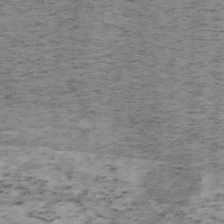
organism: Mouse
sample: OT-I killer T cells with ID8 ovarian cancer cells